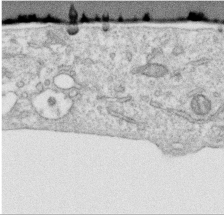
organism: Human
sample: Centriole in RPE cells